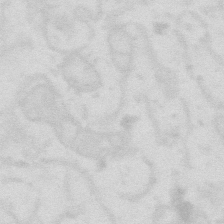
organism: Human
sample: HeLa cells